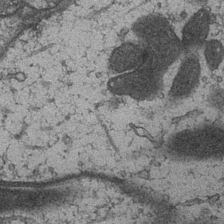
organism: Drosophila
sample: Optic medulla